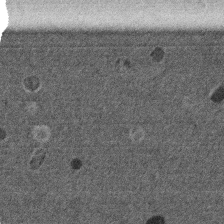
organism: Mouse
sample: Dividing mouse embryo 1 cell stage